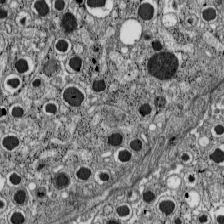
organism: C57BL Mouse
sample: Pancreatic islet